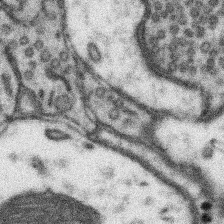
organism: Mouse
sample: Somatosensory cortex neuropil